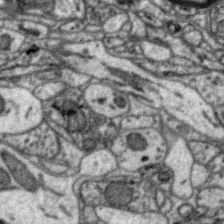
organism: Zebra finch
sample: Brain